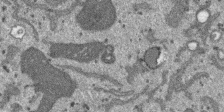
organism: Human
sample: Lung epithelial cells infected with SARS-CoV-2